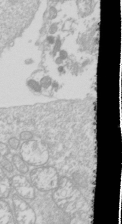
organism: Drosophila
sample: Cell division; meiosis; drosophila spermatocytes